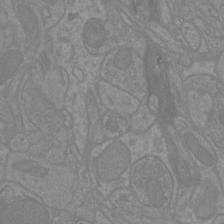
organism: Mouse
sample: Cortical neurons